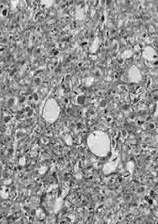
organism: Drosophila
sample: Optic lobe